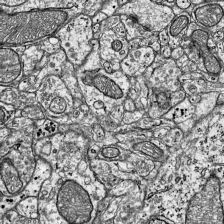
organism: Mouse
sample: Visual Cortex